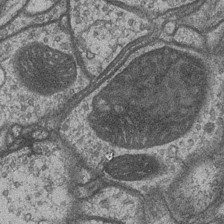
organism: Drosophila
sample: Optic medulla